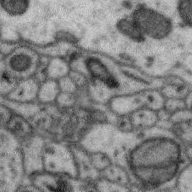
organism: Zebra finch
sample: Brain